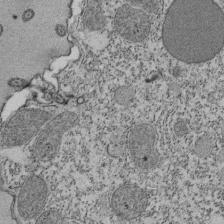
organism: Tetrahymena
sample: Cilia in tetrahymena